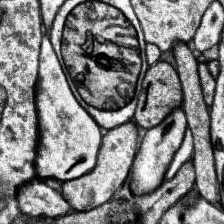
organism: Human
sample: Temporal Lobe